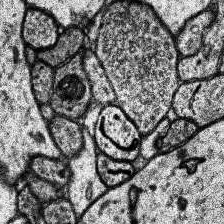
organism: Human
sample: Temporal Lobe